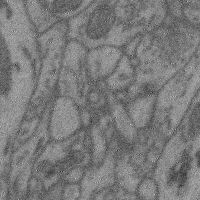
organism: Mouse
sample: Cerebral cortex